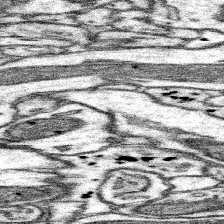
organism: Mouse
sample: Somatosensory cortex neuropil